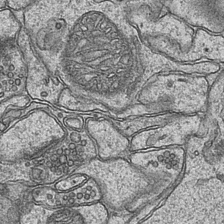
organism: Mouse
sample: CA1 Hippocampus